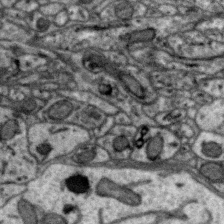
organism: Zebra finch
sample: Brain